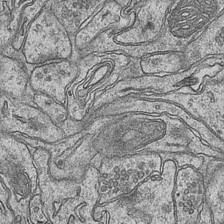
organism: Mouse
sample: CA1 Hippocampus